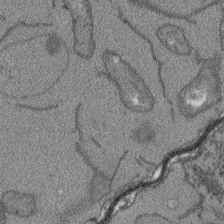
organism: Arabidopsis thaliana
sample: Root tip